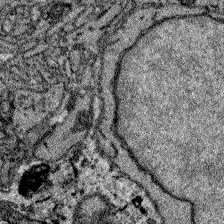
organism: Zebrafish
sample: Larval olfactory bulb